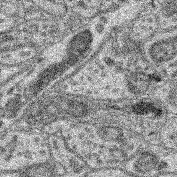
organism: Mouse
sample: Retina